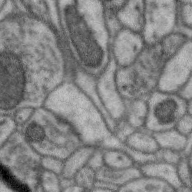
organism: Zebra finch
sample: Brain